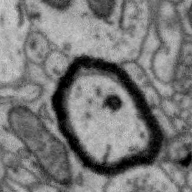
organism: Zebra finch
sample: Brain